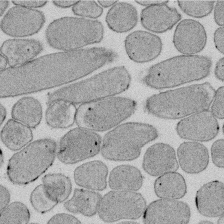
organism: E. coli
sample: Bacterial nucleoid